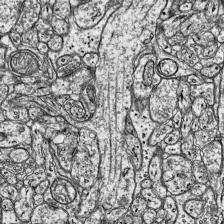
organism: Mouse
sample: Visual Cortex